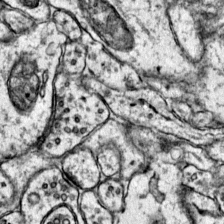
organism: Mouse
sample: Primary visual cortex